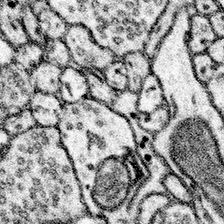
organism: Mouse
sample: Somatosensory cortex neuropil